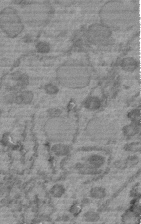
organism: C. elegans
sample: C. elegans embryo early stage